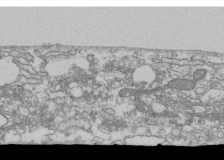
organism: Human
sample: Fibroblast cells